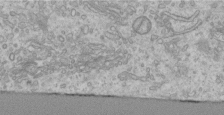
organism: Human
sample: Centriole in RPE cells